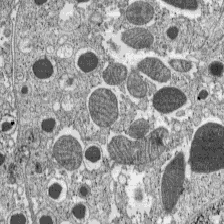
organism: C57BL Mouse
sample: Pancreatic islet